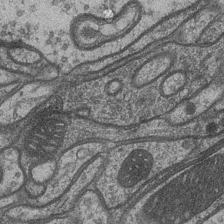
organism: Drosophila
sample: Optic medulla